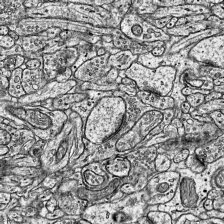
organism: Mouse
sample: Visual Cortex